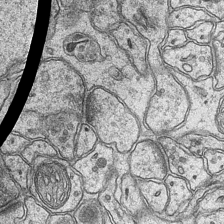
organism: Mouse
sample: CA1 Hippocampus